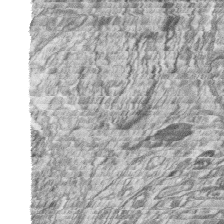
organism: Zebrafish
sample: synaptic ribbons in rod cells and cone cells